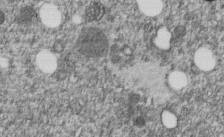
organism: C. elegans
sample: C. elegans embryo early stage